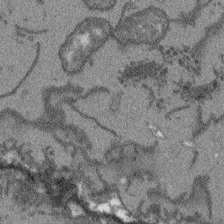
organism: Arabidopsis thaliana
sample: Root tip